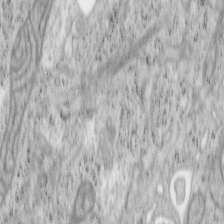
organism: Human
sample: HeLa cells